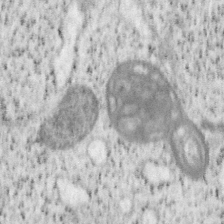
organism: Mouse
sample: OT-I killer T cells with ID8 ovarian cancer cells